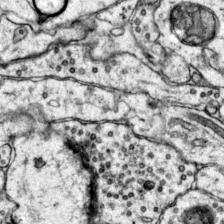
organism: Mouse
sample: Primary visual cortex